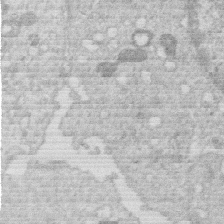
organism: Human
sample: Macrophage cells